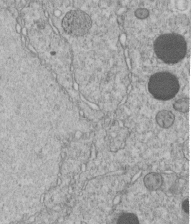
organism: C. elegans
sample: C. elegans embryo early stage